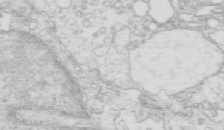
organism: Mouse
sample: Multiciliated cells